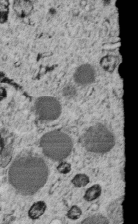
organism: C. elegans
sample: C. elegans embryo early stage